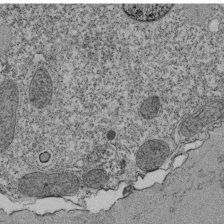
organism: Tetrahymena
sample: Cilia in tetrahymena